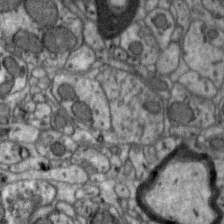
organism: Zebra finch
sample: Brain